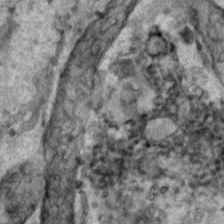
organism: Human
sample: Mitochondria in HCT116 cells